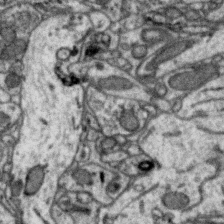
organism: Zebra finch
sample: Brain